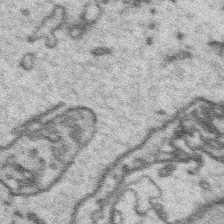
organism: Platynereis dumerilii